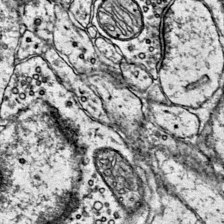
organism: Mouse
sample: Primary visual cortex